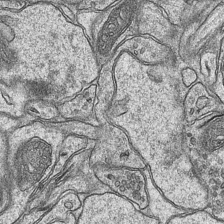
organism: Mouse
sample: CA1 Hippocampus